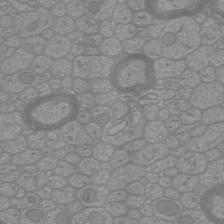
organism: Mouse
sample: Cortical neurons